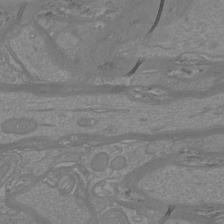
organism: Mouse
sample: Cortical neurons